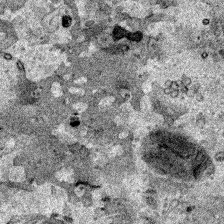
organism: Human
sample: Mitochondria in HCT116 cells